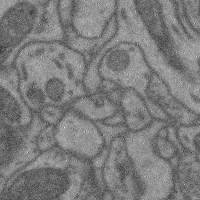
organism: Mouse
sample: Cerebral cortex